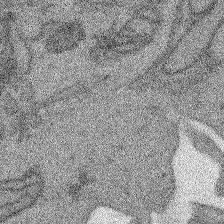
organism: Human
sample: HeLa cells